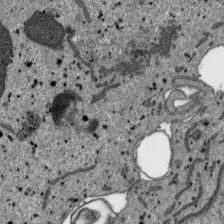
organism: Human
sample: Lung epithelial cells, uninfected (mock) control